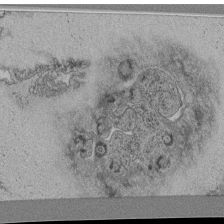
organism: C. elegans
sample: C. elegans pharynx